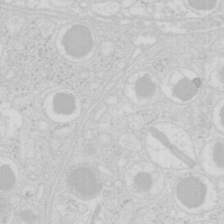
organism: Mouse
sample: Pancreas